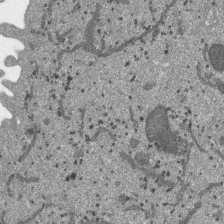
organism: Human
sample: Lung epithelial cells infected with SARS-CoV-2